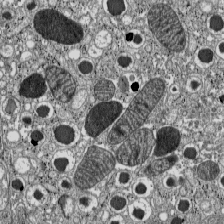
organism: C57BL Mouse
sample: Pancreatic islet